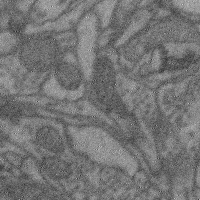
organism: Mouse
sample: Cerebral cortex